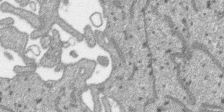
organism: Human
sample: Lung epithelial cells infected with SARS-CoV-2